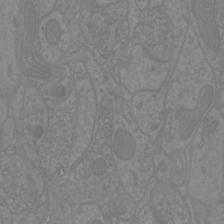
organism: Mouse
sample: Cortical neurons